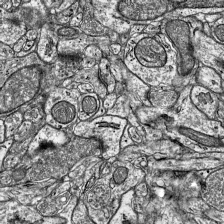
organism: Mouse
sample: Visual Cortex